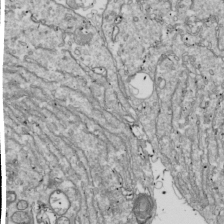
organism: Drosophila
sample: Cell division; meiosis; drosophila spermatocytes